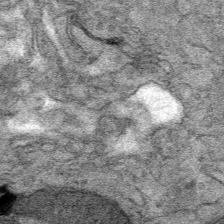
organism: Mouse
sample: Mouse Salivary gland